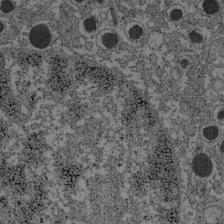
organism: C57BL Mouse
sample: Pancreatic islet